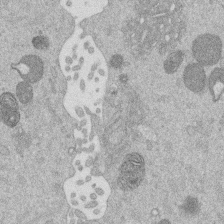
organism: Mouse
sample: Dividing mouse embryo 1 cell stage